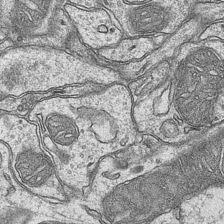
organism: Mouse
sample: CA1 Hippocampus